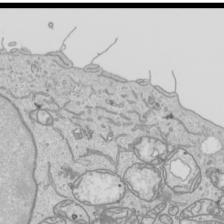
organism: Human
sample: Mitochondria in HCT116 cells